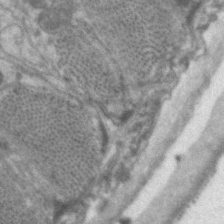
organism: C. elegans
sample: Pharynx